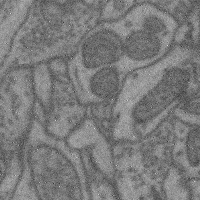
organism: Mouse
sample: Cerebral cortex